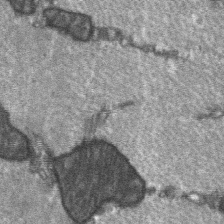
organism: C57BL Mouse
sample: Soleus